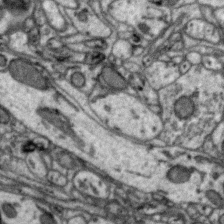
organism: Zebra finch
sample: Brain